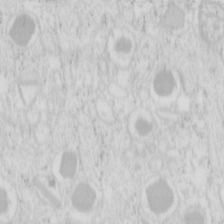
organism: Mouse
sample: Pancreas